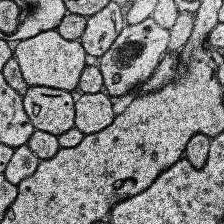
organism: Human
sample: Temporal Lobe